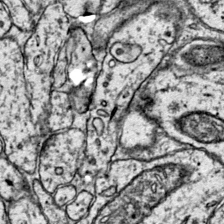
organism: Mouse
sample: Primary visual cortex